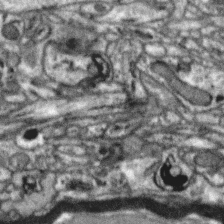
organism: Zebra finch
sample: Brain